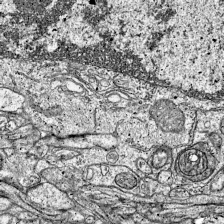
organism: Mouse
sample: Visual Cortex